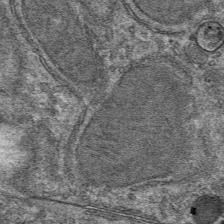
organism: Mouse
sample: Mouse hepatocytes